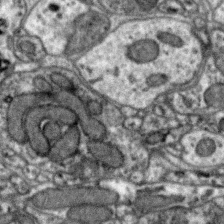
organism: Zebra finch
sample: Brain